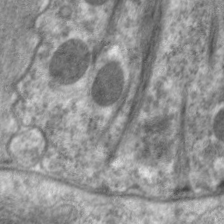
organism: C. elegans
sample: Pharynx